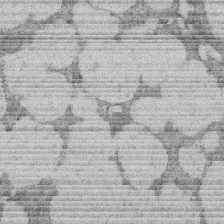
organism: Rat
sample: Salivary granule